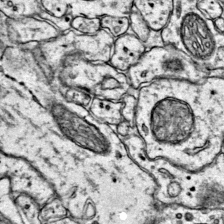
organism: Mouse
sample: Primary visual cortex